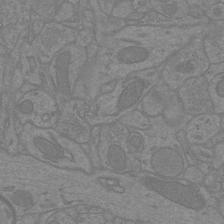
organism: Mouse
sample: Cortical neurons